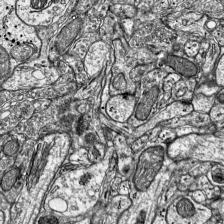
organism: Mouse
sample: Visual Cortex